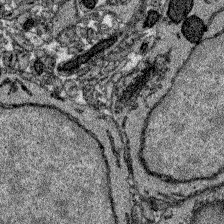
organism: Zebrafish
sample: Larval olfactory bulb